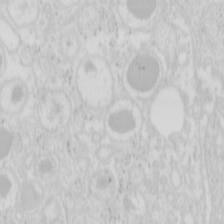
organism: Mouse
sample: Pancreas